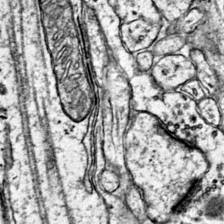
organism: Mouse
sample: Primary visual cortex